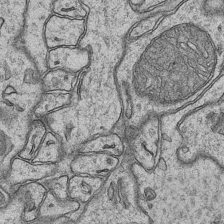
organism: Mouse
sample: CA1 Hippocampus